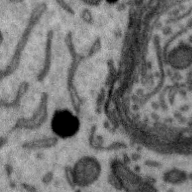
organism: Zebra finch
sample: Brain